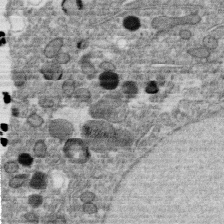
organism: C. elegans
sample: C. elegans oocyte; sperm cells